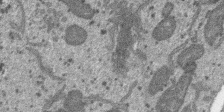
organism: Human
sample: Lung epithelial cells infected with SARS-CoV-2